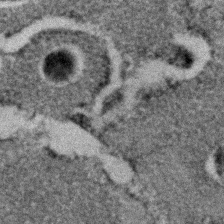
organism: C. elegans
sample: C. elegans embryo